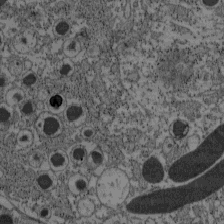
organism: C57BL Mouse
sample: Pancreatic islet